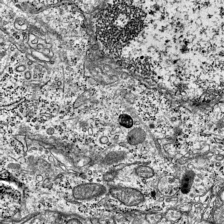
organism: Mouse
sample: Visual Cortex